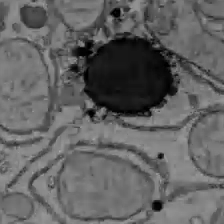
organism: C57BL Mouse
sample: Liver